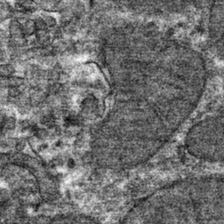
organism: Mouse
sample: Mouse hepatocytes